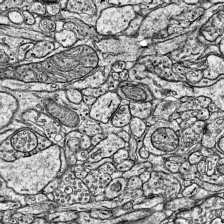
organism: Mouse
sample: Visual Cortex